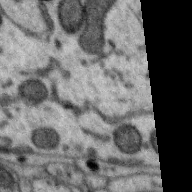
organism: Zebra finch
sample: Brain